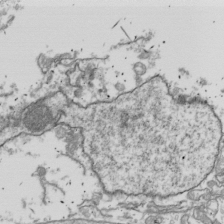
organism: Drosophila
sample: Cell division; meiosis; drosophila spermatocytes